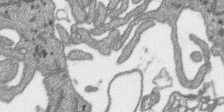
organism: Human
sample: Lung epithelial cells infected with SARS-CoV-2